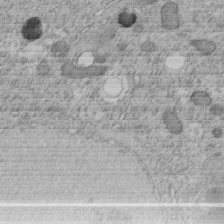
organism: C. elegans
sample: C. elegans embryo early stage